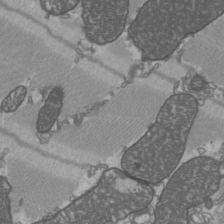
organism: C57BL Mouse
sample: Heart